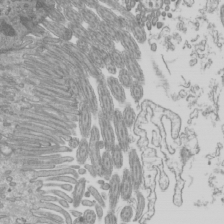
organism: Mouse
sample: Cilia; mouse epididymis